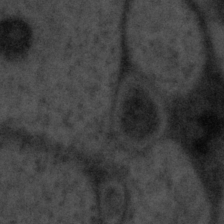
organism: Tuwongella immobilis